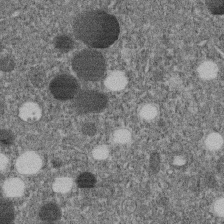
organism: C. elegans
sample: C. elegans embryo early stage